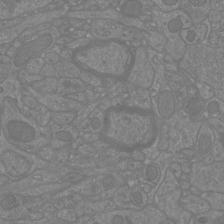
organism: Mouse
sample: Cortical neurons